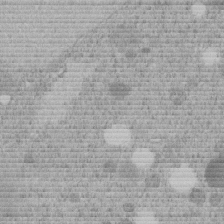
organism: C. elegans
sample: C. elegans embryo early stage